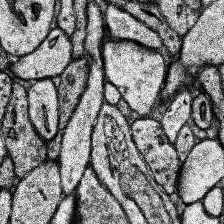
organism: Human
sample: Temporal Lobe